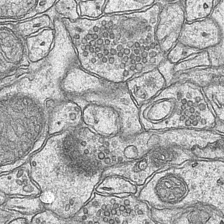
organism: Mouse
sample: CA1 Hippocampus